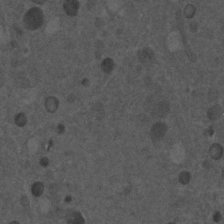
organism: C. elegans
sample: C. elegans embryo